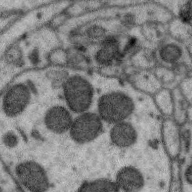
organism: Zebra finch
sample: Brain